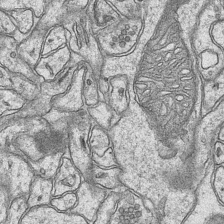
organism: Mouse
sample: CA1 Hippocampus